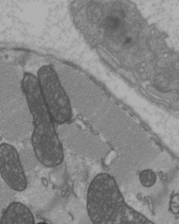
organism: C57BL Mouse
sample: Heart